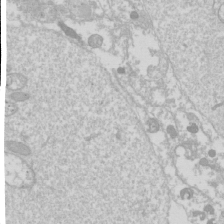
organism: Drosophila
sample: Cell division; meiosis; drosophila spermatocytes